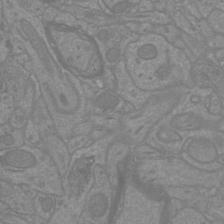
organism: Mouse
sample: Cortical neurons